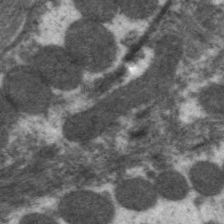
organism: C. elegans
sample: Pharynx